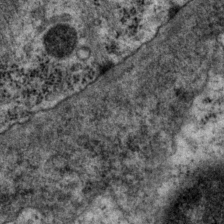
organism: P. pacificus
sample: Pharynx